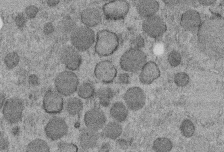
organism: C. elegans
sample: C. elegans embryo early stage